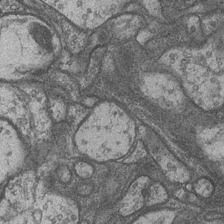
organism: Drosophila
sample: Optic medulla